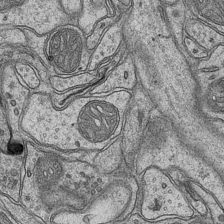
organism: Mouse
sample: CA1 Hippocampus